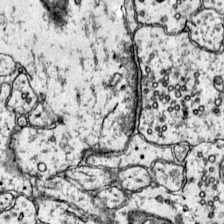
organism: Mouse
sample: Primary visual cortex